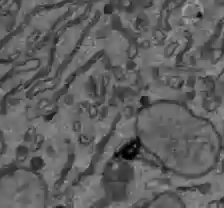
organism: C57BL Mouse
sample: Liver